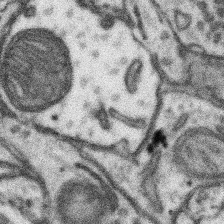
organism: Mouse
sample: Somatosensory cortex neuropil